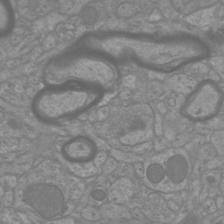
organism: Mouse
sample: Cortical neurons